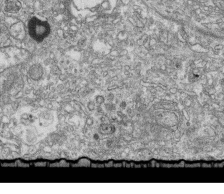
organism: Human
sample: HeLa cell HIV synapse